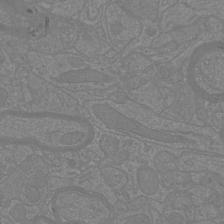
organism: Mouse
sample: Cortical neurons